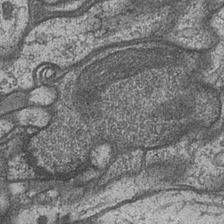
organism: Drosophila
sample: Optic medulla